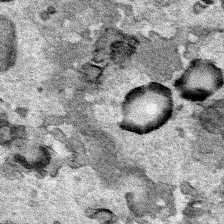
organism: Human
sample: Mitochondria in HCT116 cells